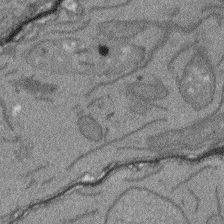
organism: Arabidopsis thaliana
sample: Root tip